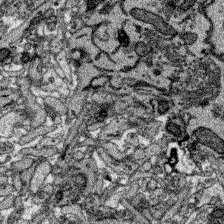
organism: Zebrafish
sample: Larval olfactory bulb